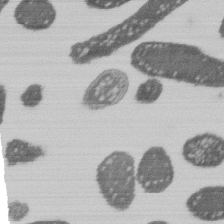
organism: E. coli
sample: Bacterial nucleoid